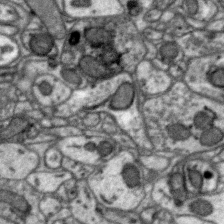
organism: Zebra finch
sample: Brain